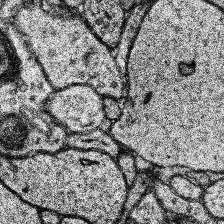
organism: Human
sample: Temporal Lobe